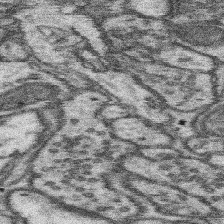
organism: Mouse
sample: Somatosensory cortex neuropil